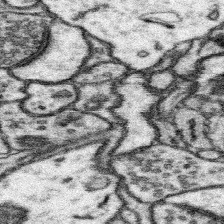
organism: Mouse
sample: Somatosensory cortex neuropil